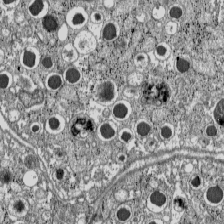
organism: C57BL Mouse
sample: Pancreatic islet